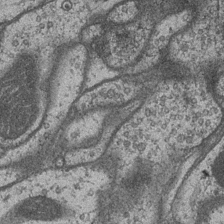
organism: Drosophila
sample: Optic medulla